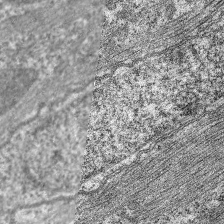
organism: C. elegans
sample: Pharynx